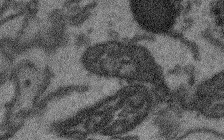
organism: Arabidopsis thaliana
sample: Root tip